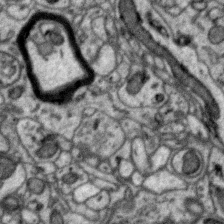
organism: Zebra finch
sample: Brain